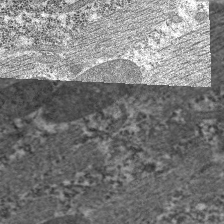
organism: C. elegans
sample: Pharynx